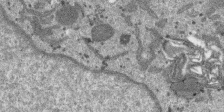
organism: Human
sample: Lung epithelial cells infected with SARS-CoV-2